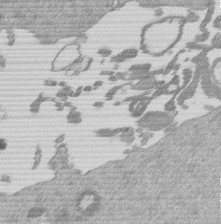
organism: Mouse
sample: Dividing mouse embryo 1 cell stage